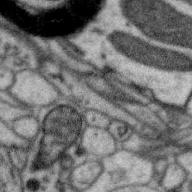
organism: Zebra finch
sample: Brain